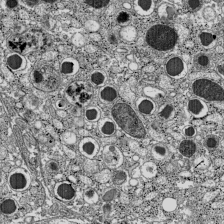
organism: C57BL Mouse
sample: Pancreatic islet